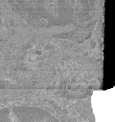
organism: Mouse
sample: Glomerulus